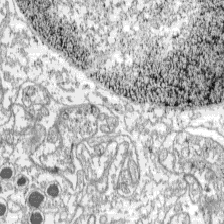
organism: C57BL Mouse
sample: Pancreatic islet